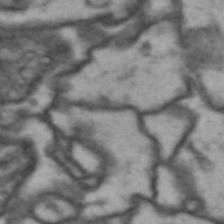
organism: Drosophila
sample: Brain